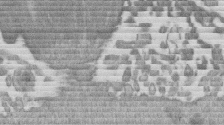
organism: Mouse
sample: Dividing mouse embryo 1 cell stage